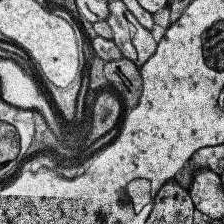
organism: Human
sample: Temporal Lobe